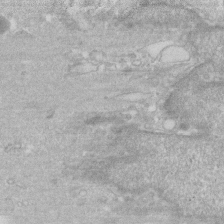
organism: Human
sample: Fibroblast cells